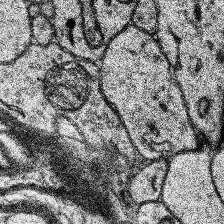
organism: Human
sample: Temporal Lobe